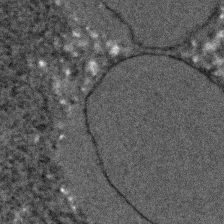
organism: C. elegans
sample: C. elegans embryo